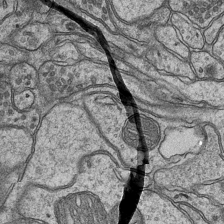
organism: Mouse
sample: CA1 Hippocampus